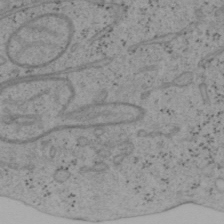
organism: Human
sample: HeLa cells